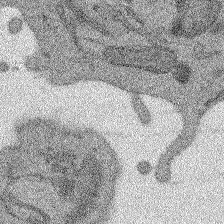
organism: Human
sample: HeLa cells